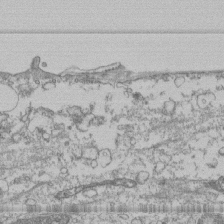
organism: Human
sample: Fibroblast cells